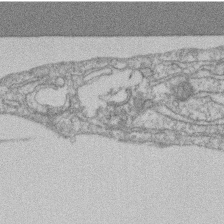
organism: Mouse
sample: T cell stromal cell synapse